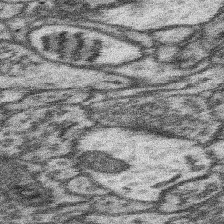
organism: Mouse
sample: Somatosensory cortex neuropil